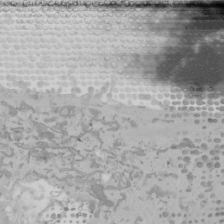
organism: Mouse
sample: Cancer cell death in ED-1 cells